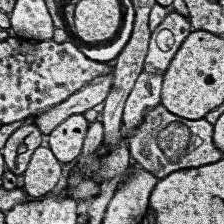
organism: Human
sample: Temporal Lobe